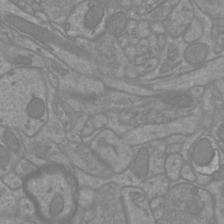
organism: Mouse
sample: Cortical neurons